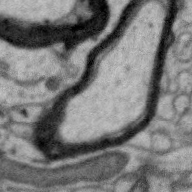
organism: Zebra finch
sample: Brain